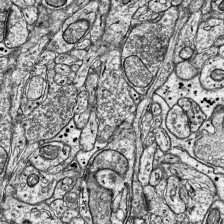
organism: Mouse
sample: Visual Cortex